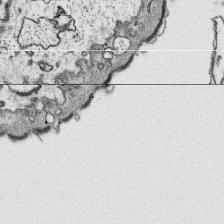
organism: Platynereis dumerilii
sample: Parapodia